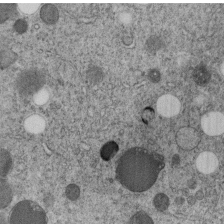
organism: C. elegans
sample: C. elegans embryo early stage